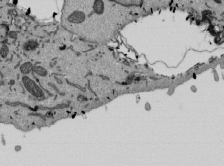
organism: Mouse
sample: ED-1 cell nuclei; centrioles